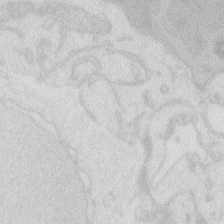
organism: Zebrafish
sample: Macrophage